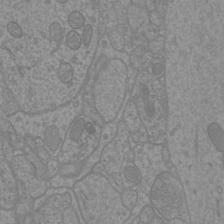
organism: Mouse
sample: Cortical neurons